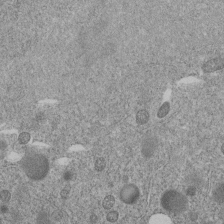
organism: C. elegans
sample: C. elegans embryo early stage